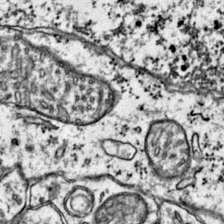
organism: Mouse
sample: Primary visual cortex